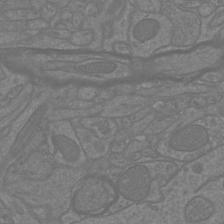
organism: Mouse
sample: Cortical neurons